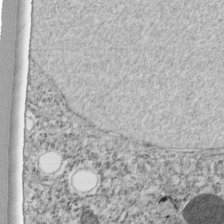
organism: C. elegans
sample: C. elegans embryo early stage